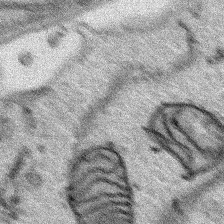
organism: Human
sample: Mitochondria in HCT116 cells